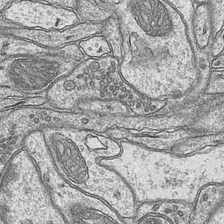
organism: Mouse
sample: CA1 Hippocampus